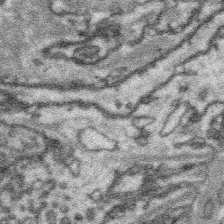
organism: Platynereis dumerilii